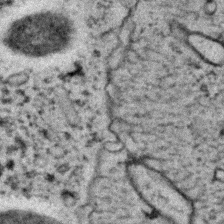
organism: C. elegans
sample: C. elegans embryo